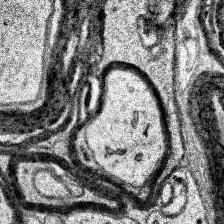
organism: Human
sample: Temporal Lobe